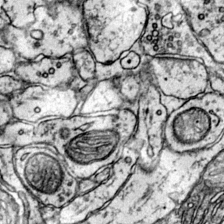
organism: Mouse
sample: Primary visual cortex